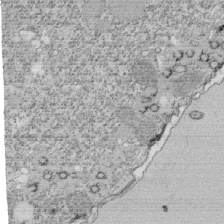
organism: Tetrahymena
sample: Cilia in tetrahymena